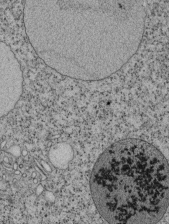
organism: Tetrahymena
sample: Cilia in tetrahymena